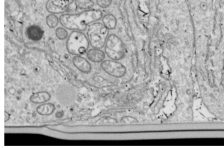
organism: Drosophila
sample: Cell division; meiosis; drosophila spermatocytes